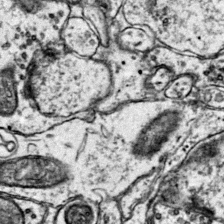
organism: Mouse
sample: Primary visual cortex